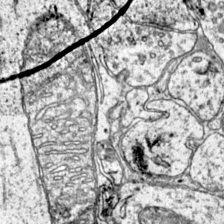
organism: Mouse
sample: Primary visual cortex